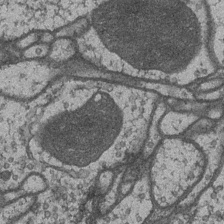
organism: Drosophila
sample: Optic medulla